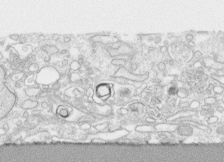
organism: Human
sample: CRL-1474